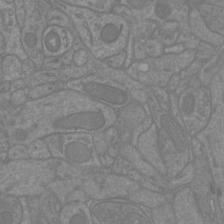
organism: Mouse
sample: Cortical neurons